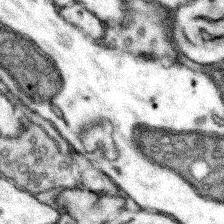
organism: Mouse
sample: Somatosensory cortex neuropil